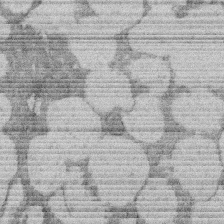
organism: Rat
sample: Salivary granule